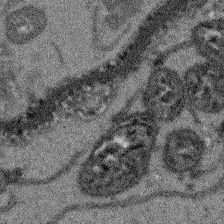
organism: Arabidopsis thaliana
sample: Root tip